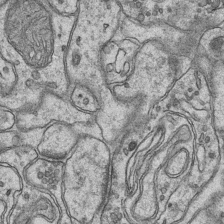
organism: Mouse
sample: CA1 Hippocampus